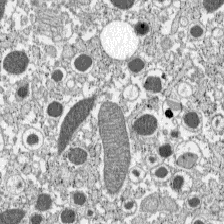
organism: C57BL Mouse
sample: Pancreatic islet